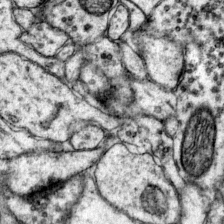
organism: Mouse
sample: Primary visual cortex